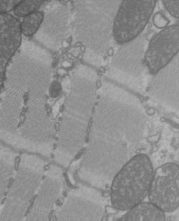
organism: C57BL Mouse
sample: Heart